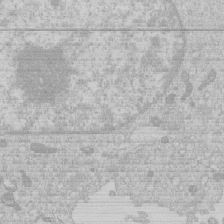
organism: Human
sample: Macrophage cells